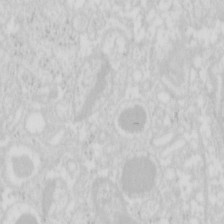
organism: Mouse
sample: Pancreas